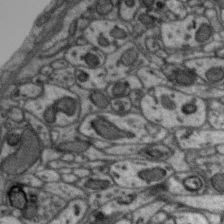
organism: Zebra finch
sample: Brain